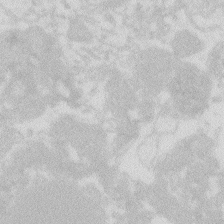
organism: Zebrafish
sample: Macrophage